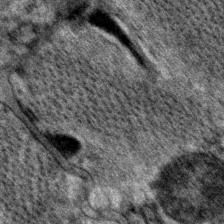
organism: P. pacificus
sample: Pharynx